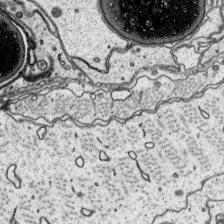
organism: Platynereis dumerilii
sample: Parapodia